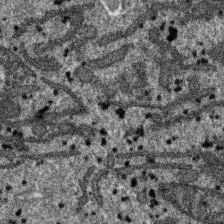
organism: Human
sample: Lung epithelial cells infected with SARS-CoV-2